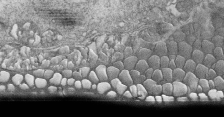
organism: Tetrahymena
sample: Cilia in tetrahymena